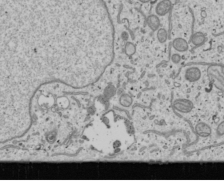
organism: Human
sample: Mitochondria in U2OS cells